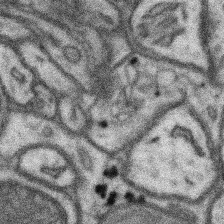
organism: Mouse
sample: Somatosensory cortex neuropil